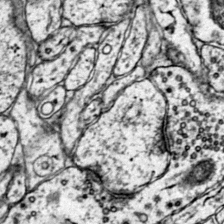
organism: Mouse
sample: Primary visual cortex